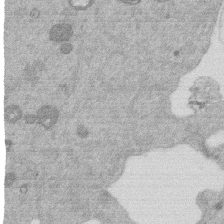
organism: Mouse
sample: Dividing mouse embryo 1 cell stage